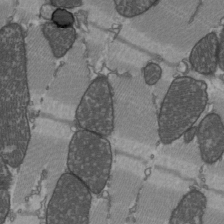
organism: C57BL Mouse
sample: Heart